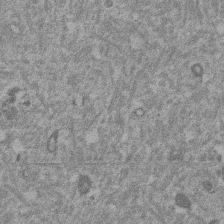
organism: Mouse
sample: Dividing mouse embryo 1 cell stage